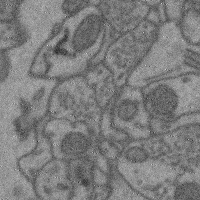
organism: Mouse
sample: Cerebral cortex